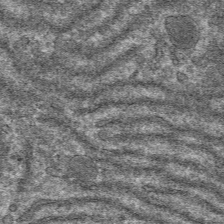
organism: Mouse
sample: Mouse hepatocytes